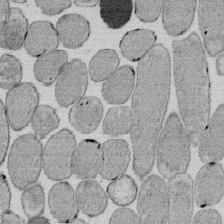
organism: E. coli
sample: Bacterial nucleoid